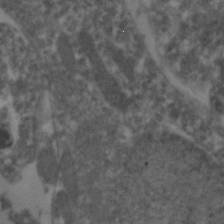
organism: Zebrafish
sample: Zebrafish embryo